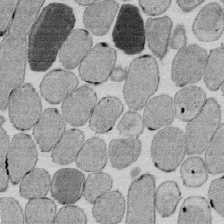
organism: E. coli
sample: Bacterial nucleoid